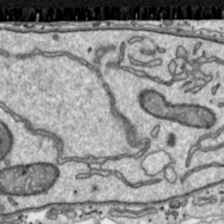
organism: Toxoplasma gondii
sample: Parasites in a vacuole inside a host cell